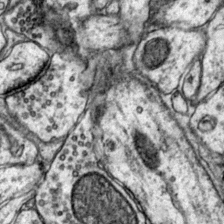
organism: Mouse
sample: Primary visual cortex